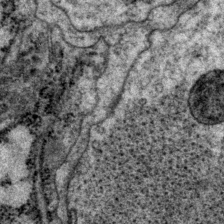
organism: P. pacificus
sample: Pharynx